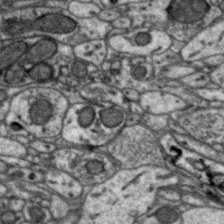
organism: Zebra finch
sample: Brain